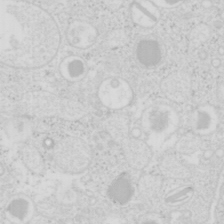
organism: Mouse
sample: Pancreas